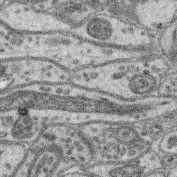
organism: Mouse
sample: Retina